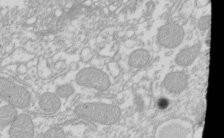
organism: Xenopus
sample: Cilia; centrioles in frog embryo cells